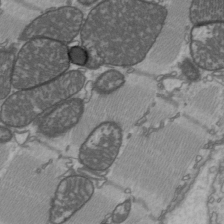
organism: C57BL Mouse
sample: Heart